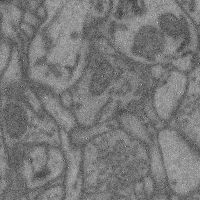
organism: Mouse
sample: Cerebral cortex